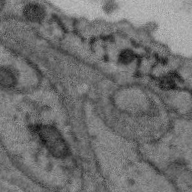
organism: Zebra finch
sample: Brain